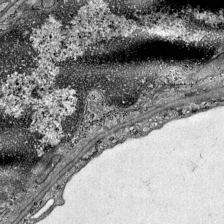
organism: Mouse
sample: Visual Cortex